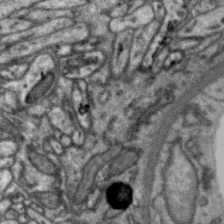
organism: Zebra finch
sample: Brain